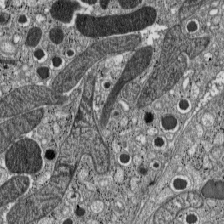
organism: C57BL Mouse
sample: Pancreatic islet